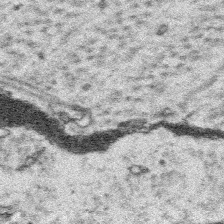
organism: Platynereis dumerilii